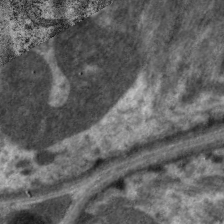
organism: C. elegans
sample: Pharynx